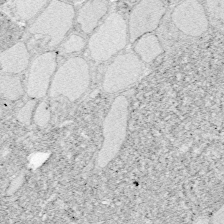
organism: Zebrafish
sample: Whole-Brain